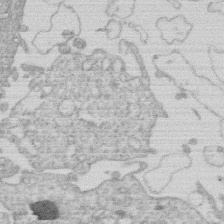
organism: Human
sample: Macrophage cells